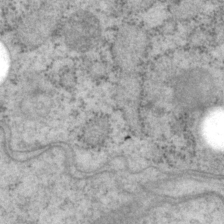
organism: P. pacificus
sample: Pharynx